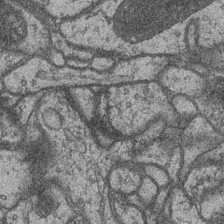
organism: Drosophila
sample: Optic medulla